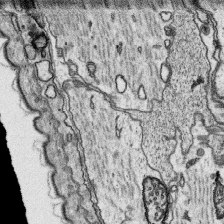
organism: Platynereis dumerilii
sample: Parapodia